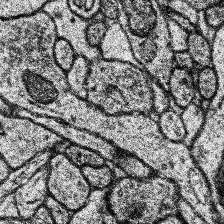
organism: Human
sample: Temporal Lobe